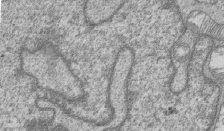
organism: Human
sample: MDA-MB-231 cells